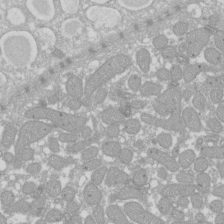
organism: Xenopus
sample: Cilia; centrioles in frog embryo cells